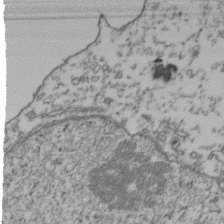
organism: Human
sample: Activated Jurkat CD4+ T cells